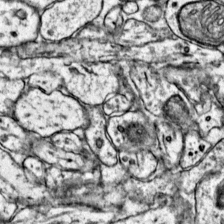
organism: Mouse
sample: Primary visual cortex